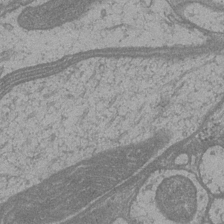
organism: Drosophila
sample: Optic medulla